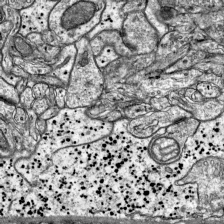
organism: Mouse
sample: Visual Cortex